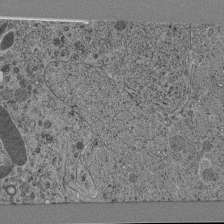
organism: C. elegans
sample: C. elegans pharynx